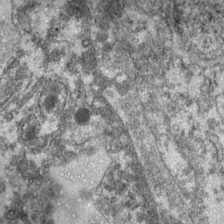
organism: Zebrafish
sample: Zebrafish embryo